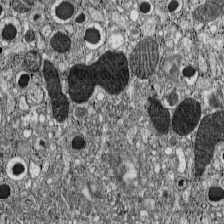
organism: C57BL Mouse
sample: Pancreatic islet